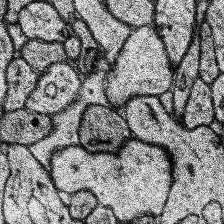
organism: Human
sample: Temporal Lobe